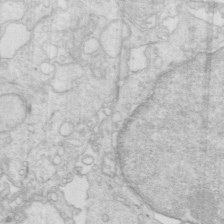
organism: Mouse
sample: Multiciliated cells